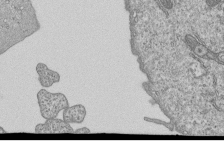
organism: Human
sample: MDA-MB-231 cells